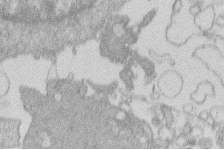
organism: Human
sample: Macrophage cells